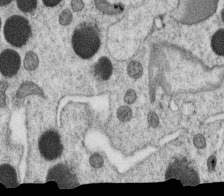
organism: C. elegans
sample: C. elegans oocyte; sperm cells